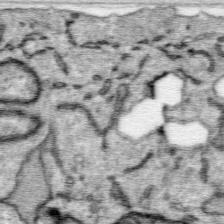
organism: Human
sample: HeLa cells